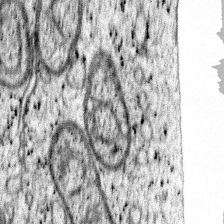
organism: Human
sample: HeLa cells